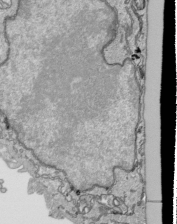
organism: Human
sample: Mitochondria in HCT116 cells